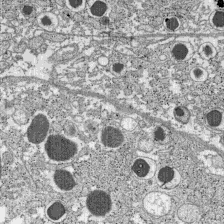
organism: C57BL Mouse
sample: Pancreatic islet